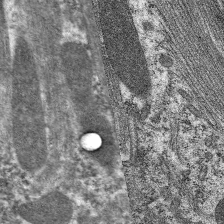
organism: C. elegans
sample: Pharynx